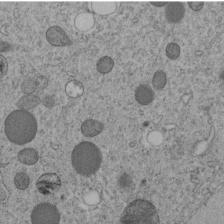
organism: C. elegans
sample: C. elegans embryo early stage